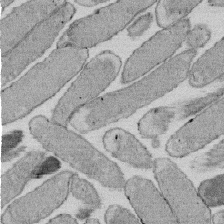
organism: E. coli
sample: Bacterial nucleoid